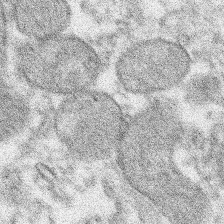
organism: Xenopus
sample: Cilia; centrioles in frog embryo cells